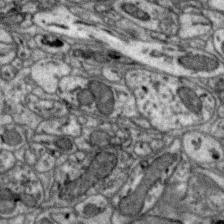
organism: Zebra finch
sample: Brain